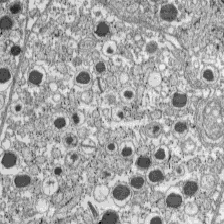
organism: C57BL Mouse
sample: Pancreatic islet